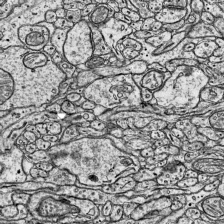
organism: Mouse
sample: Visual Cortex